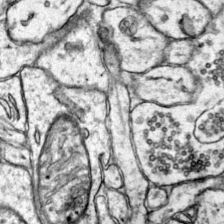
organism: Mouse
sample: Primary visual cortex